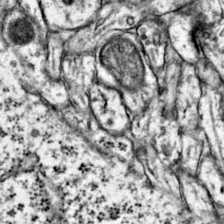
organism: Mouse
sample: Primary visual cortex